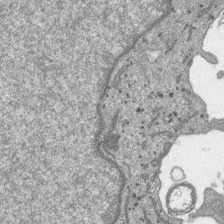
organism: Human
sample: Lung epithelial cells infected with SARS-CoV-2